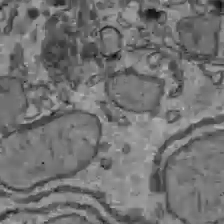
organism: C57BL Mouse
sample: Liver